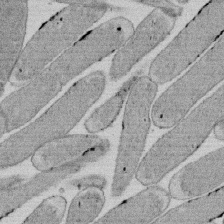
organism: E. coli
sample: Bacterial nucleoid